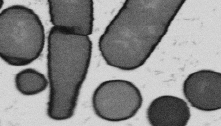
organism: B. subtilis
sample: Bacterial spore